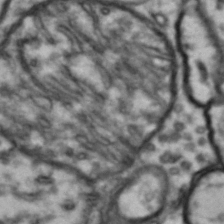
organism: Drosophila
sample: Brain